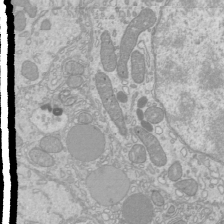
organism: Mouse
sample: Cilia; mouse epididymis